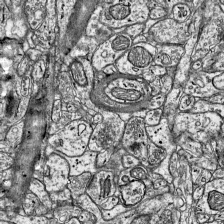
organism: Mouse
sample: Visual Cortex